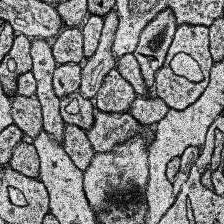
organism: Human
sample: Temporal Lobe